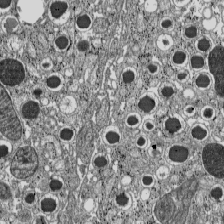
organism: C57BL Mouse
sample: Pancreatic islet